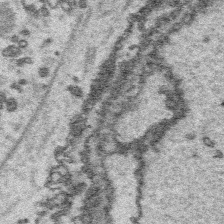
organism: Platynereis dumerilii